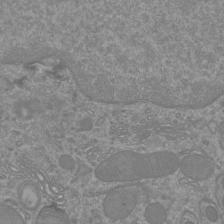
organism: Mouse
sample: Cortical neurons